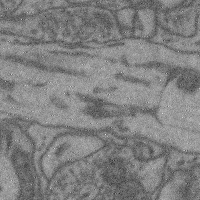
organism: Mouse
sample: Cerebral cortex